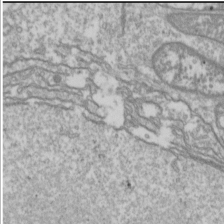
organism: Drosophila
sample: Cell division; meiosis; drosophila spermatocytes